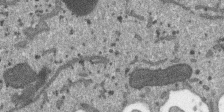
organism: Human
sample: Lung epithelial cells infected with SARS-CoV-2